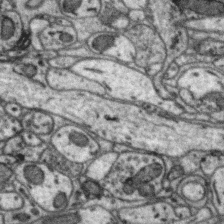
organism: Zebra finch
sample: Brain